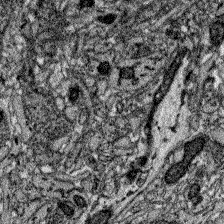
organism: Zebrafish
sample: Larval olfactory bulb